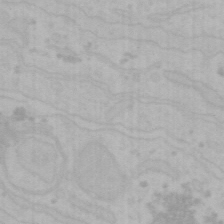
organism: Mouse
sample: Choroid plexus